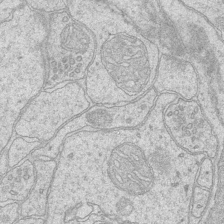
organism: Mouse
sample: CA1 Hippocampus